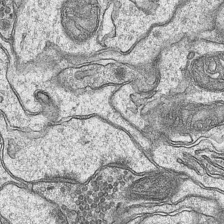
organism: Mouse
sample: CA1 Hippocampus